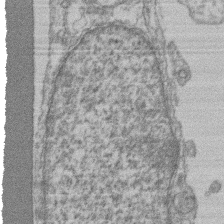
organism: Mouse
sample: T cell stromal cell synapse